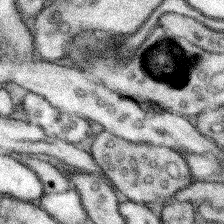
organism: Mouse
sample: Somatosensory cortex neuropil